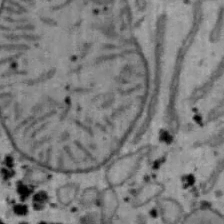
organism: Mouse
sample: Liver